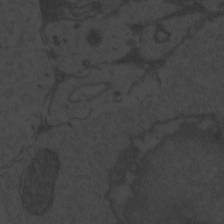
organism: Zebrafish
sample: Macrophage infected with Toxoplasma gondii